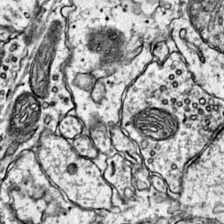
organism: Mouse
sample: Primary visual cortex